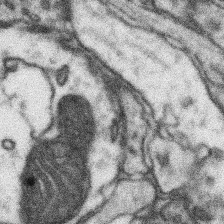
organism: Mouse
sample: Somatosensory cortex neuropil